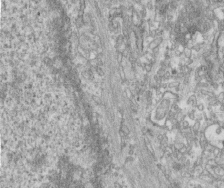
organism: Human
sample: Centriole in fibroblast cells